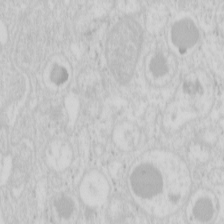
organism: Mouse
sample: Pancreas